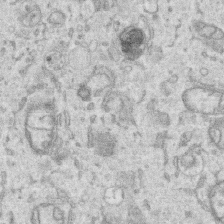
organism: Human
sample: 1205lu cells